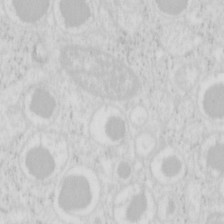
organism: Mouse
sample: Pancreas